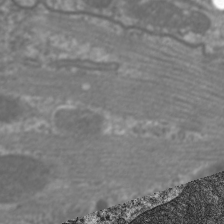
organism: C. elegans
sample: Pharynx